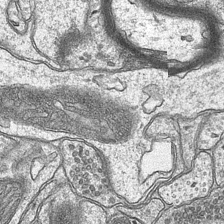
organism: Mouse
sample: CA1 Hippocampus